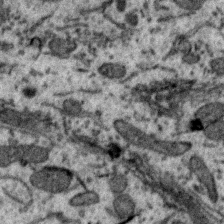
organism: Zebra finch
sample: Brain